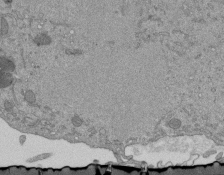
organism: Mouse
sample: ED-1 cell nuclei; centrioles